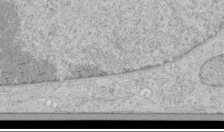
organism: Human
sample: Mitochondria in HCT116 cells